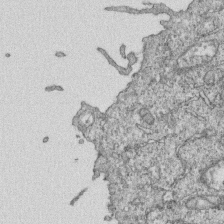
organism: Human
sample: HeLa cell HIV synapse